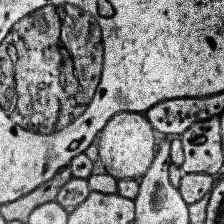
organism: Human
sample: Temporal Lobe